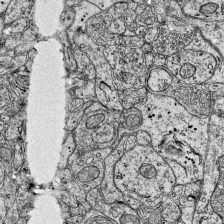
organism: Mouse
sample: Visual Cortex